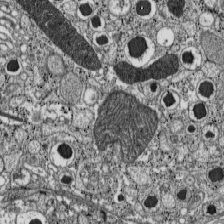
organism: C57BL Mouse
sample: Pancreatic islet